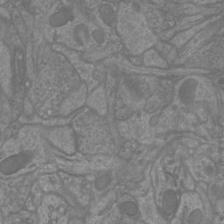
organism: Mouse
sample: Cortical neurons